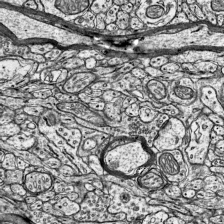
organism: Mouse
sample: Visual Cortex